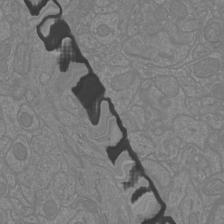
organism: Mouse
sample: Cortical neurons